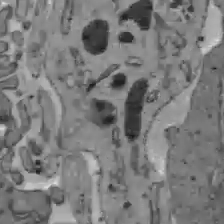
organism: C57BL Mouse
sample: Liver